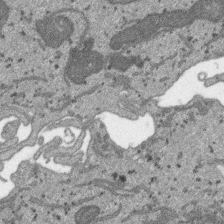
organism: Human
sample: Lung epithelial cells infected with SARS-CoV-2